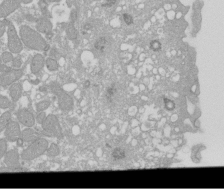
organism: Xenopus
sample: Cilia; centrioles in frog embryo cells